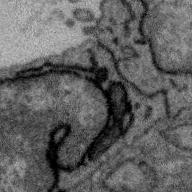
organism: Zebra finch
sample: Brain